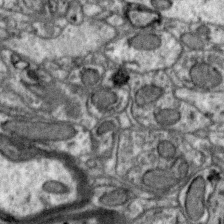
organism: Zebra finch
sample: Brain